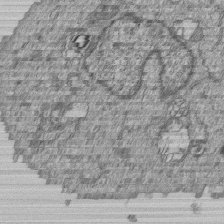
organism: Human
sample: MDA-MB-231 cells